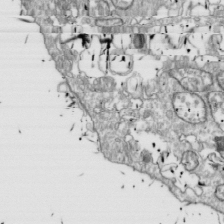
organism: Drosophila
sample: Cell division; meiosis; drosophila spermatocytes